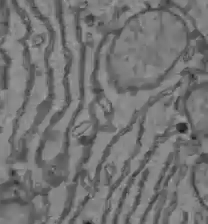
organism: C57BL Mouse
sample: Liver